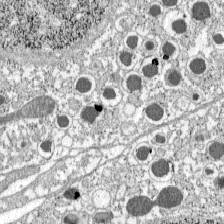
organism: C57BL Mouse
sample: Pancreatic islet